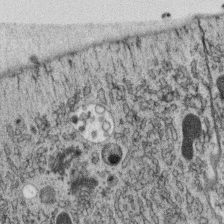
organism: C. elegans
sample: C. elegans oocyte; sperm cells